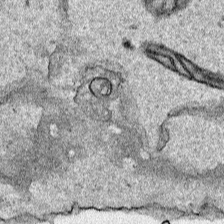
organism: Human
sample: Mitochondria in HCT116 cells